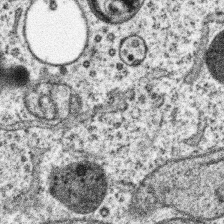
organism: Human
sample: HeLa cells